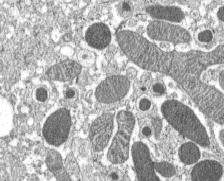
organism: C57BL Mouse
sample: Pancreatic islet